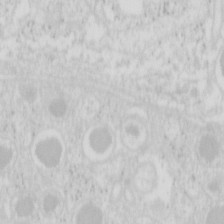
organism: Mouse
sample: Pancreas